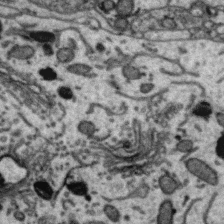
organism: Zebra finch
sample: Brain